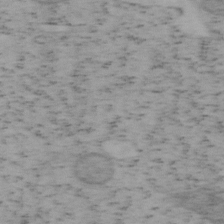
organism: Mouse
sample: OT-I killer T cells with ID8 ovarian cancer cells